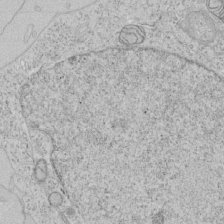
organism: Human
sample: Mitochondria in HCT116 cells